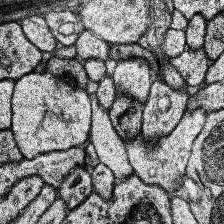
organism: Human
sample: Temporal Lobe